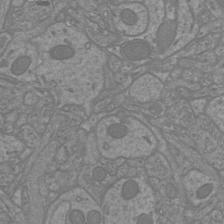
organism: Mouse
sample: Cortical neurons